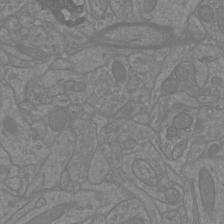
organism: Mouse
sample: Cortical neurons